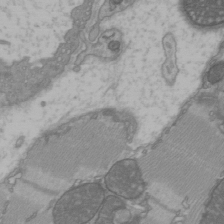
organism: C57BL Mouse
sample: Heart